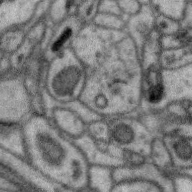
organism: Zebra finch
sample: Brain